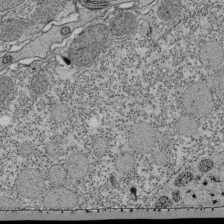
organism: Tetrahymena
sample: Cilia in tetrahymena